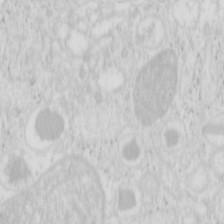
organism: Mouse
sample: Pancreas